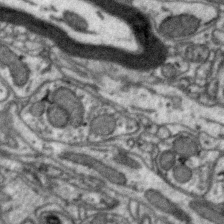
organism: Zebra finch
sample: Brain